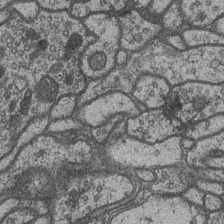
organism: Drosophila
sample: Optic medulla